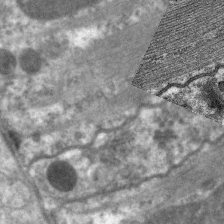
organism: C. elegans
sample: Pharynx